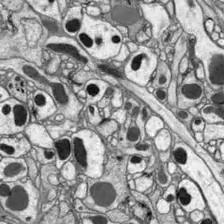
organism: Drosophila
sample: Optic lobe